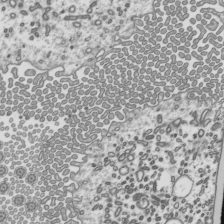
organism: Mouse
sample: Mouse epididymis efferent ductule cilia